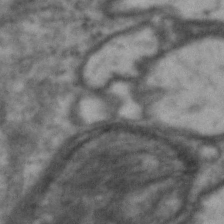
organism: Drosophila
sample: Brain